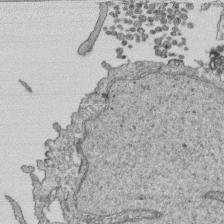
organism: Human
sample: HeLa cell HIV synapse